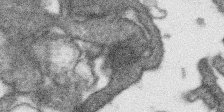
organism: Human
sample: Lung epithelial cells infected with SARS-CoV-2